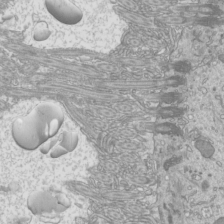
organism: Mouse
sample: Cilia; mouse epididymis